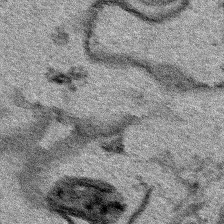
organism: Human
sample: Mitochondria in HCT116 cells